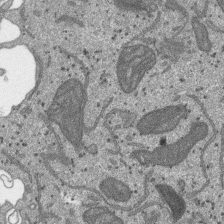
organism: Human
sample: Lung epithelial cells infected with SARS-CoV-2